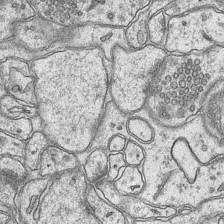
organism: Mouse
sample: CA1 Hippocampus